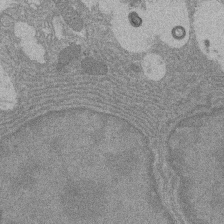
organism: Rat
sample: Salivary granule